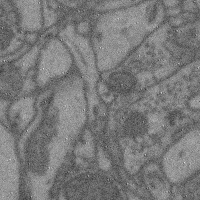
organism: Mouse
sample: Cerebral cortex